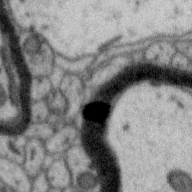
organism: Zebra finch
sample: Brain